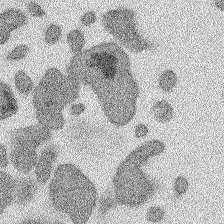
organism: Human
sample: HeLa cells